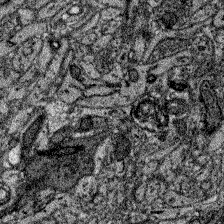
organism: Zebrafish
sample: Larval olfactory bulb